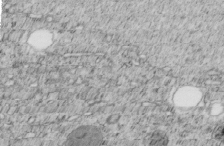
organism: C. elegans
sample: C. elegans embryo early stage